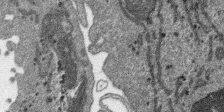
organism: Human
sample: Lung epithelial cells infected with SARS-CoV-2